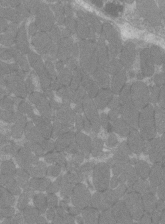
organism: C57BL Mouse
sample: Tibialis anterior muscle cell